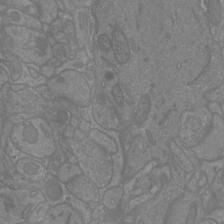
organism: Mouse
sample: Cortical neurons